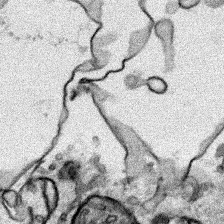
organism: Human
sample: Mitochondria in HCT116 cells